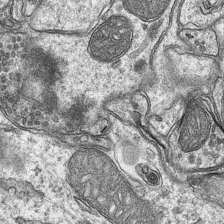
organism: Mouse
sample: CA1 Hippocampus